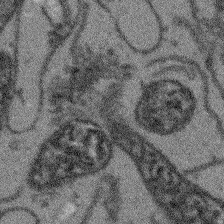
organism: Arabidopsis thaliana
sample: Root tip